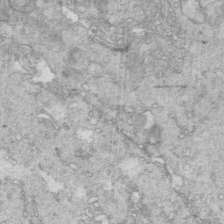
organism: Mouse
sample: Multiciliated cells